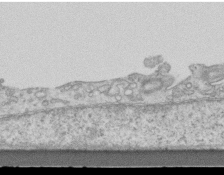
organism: Mouse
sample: Centriole in ependymal cells